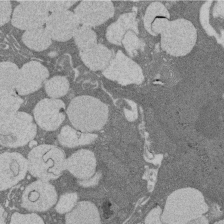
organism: Rat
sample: Salivary granule